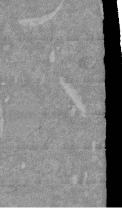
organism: Mouse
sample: ED-1 cell nuclei; centrioles